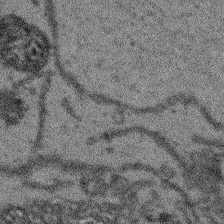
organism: Arabidopsis thaliana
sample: Root tip